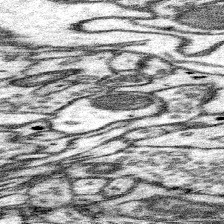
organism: Mouse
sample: Somatosensory cortex neuropil